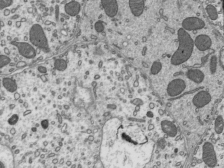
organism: Mouse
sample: Mouse epididymis efferent ductule cilia